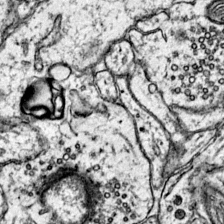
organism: Mouse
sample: Primary visual cortex